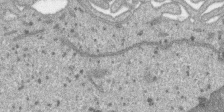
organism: Human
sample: Lung epithelial cells infected with SARS-CoV-2